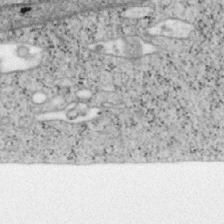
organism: Mouse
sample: OT-I killer T cells with ID8 ovarian cancer cells